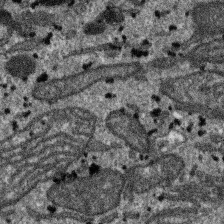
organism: Human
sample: Lung epithelial cells infected with SARS-CoV-2